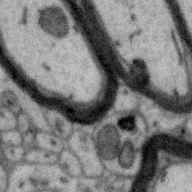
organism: Zebra finch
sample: Brain